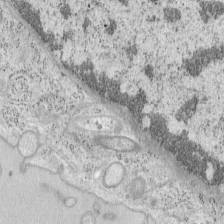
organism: Mouse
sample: OT-I killer T cells with ID8 ovarian cancer cells